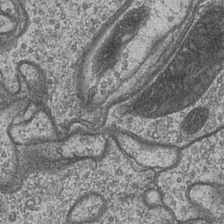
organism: Drosophila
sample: Optic medulla